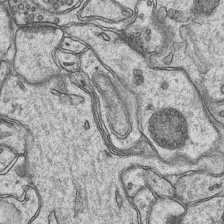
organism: Mouse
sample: CA1 Hippocampus